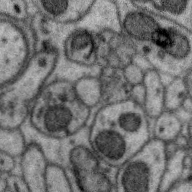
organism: Zebra finch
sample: Brain